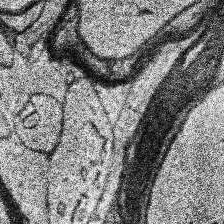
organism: Human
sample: Temporal Lobe